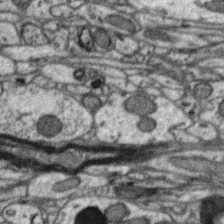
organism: Zebra finch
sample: Brain